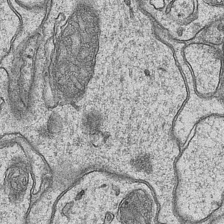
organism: Mouse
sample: CA1 Hippocampus